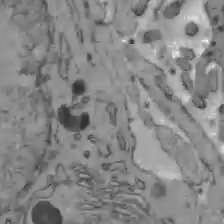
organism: C57BL Mouse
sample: Liver